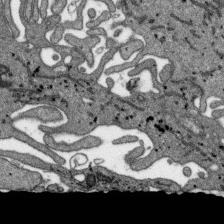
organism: Human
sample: Lung epithelial cells, uninfected (mock) control